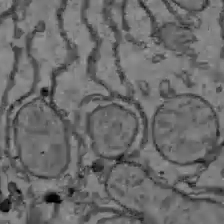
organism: C57BL Mouse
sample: Liver